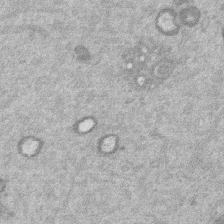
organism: Mouse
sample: Dividing mouse embryo 1 cell stage